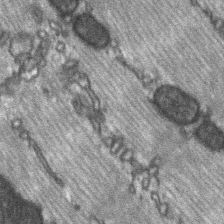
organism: C57BL Mouse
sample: Soleus